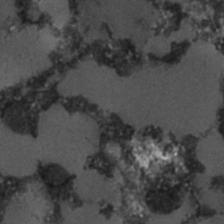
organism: C. elegans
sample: C. elegans embryo